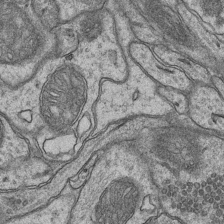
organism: Mouse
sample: CA1 Hippocampus